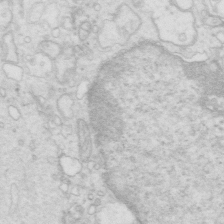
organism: Mouse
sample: Multiciliated cells